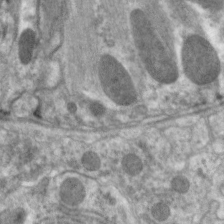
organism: C. elegans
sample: Pharynx